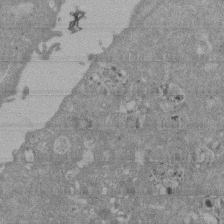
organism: Mouse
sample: ED-1 cell nuclei; centrioles